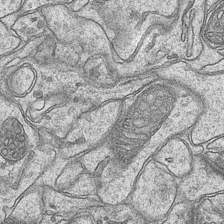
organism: Mouse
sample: CA1 Hippocampus